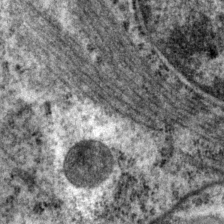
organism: P. pacificus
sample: Pharynx